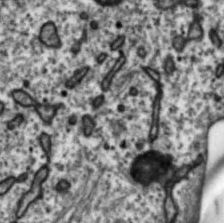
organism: Human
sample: HeLa cells